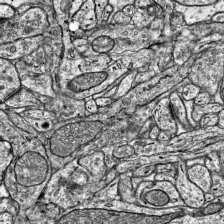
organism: Mouse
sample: Visual Cortex